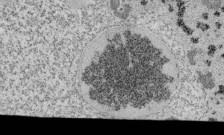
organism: Tetrahymena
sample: Cilia in tetrahymena